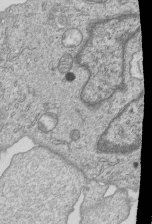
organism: Human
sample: MDA-MB-231 cells